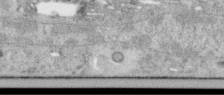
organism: Human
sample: Centriole in RPE cells